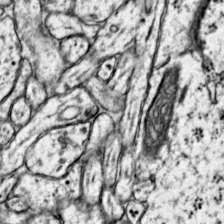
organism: Mouse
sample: Primary visual cortex